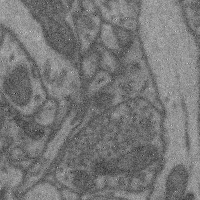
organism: Mouse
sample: Cerebral cortex